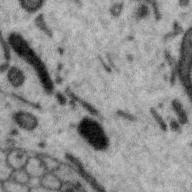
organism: Zebra finch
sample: Brain